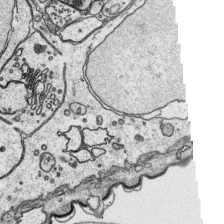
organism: Platynereis dumerilii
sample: Parapodia